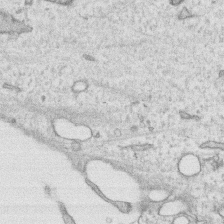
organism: Human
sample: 1205lu cells